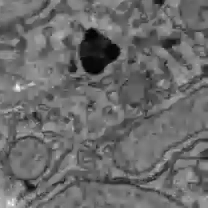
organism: C57BL Mouse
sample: Liver